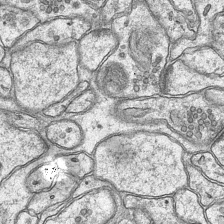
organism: Mouse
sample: CA1 Hippocampus